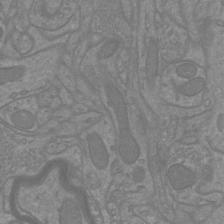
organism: Mouse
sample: Cortical neurons